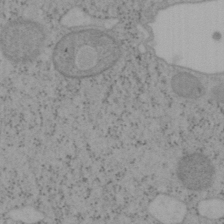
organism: Mouse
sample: OT-I killer T cells with ID8 ovarian cancer cells